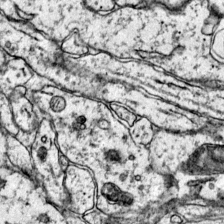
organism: Mouse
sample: Primary visual cortex